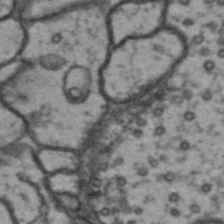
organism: Drosophila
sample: Brain